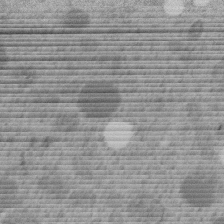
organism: C. elegans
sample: C. elegans embryo early stage